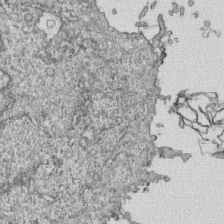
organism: Human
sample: HeLa cell HIV synapse